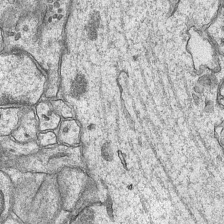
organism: Mouse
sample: CA1 Hippocampus